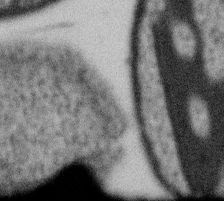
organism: Gemmata obscuriglobus